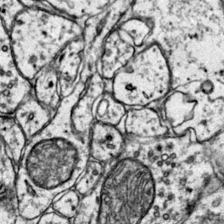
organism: Mouse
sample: Primary visual cortex